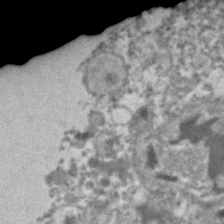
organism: Human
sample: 1205lu cells